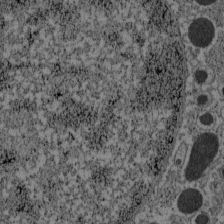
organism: C57BL Mouse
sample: Pancreatic islet